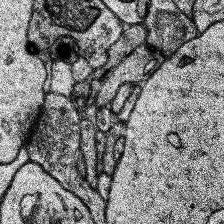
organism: Human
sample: Temporal Lobe